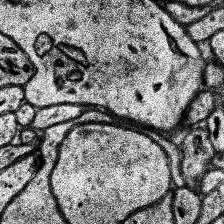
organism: Human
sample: Temporal Lobe